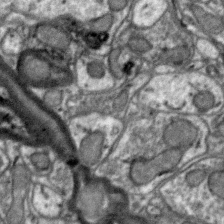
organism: Zebra finch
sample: Brain